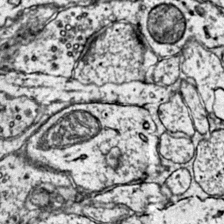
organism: Mouse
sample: Primary visual cortex